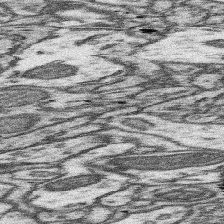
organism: Mouse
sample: Somatosensory cortex neuropil